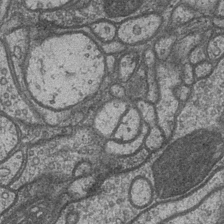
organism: Drosophila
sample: Optic medulla